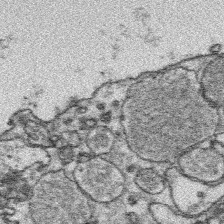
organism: Platynereis dumerilii